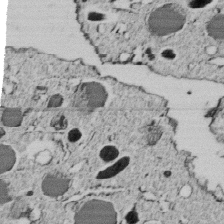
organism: C. elegans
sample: C. elegans embryo early stage